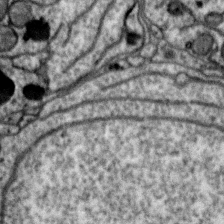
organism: Zebra finch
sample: Brain